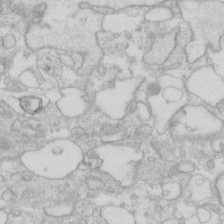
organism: Human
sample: Fibroblast cells